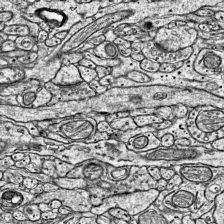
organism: Mouse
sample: Visual Cortex